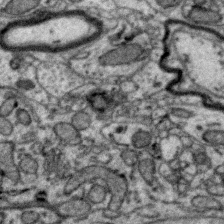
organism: Zebra finch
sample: Brain